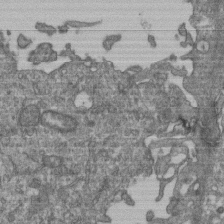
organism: Human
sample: Retinal organoid Rod and Cone cells